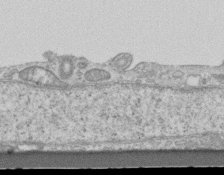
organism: Mouse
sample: Centriole in ependymal cells